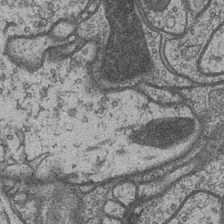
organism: Drosophila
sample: Optic medulla